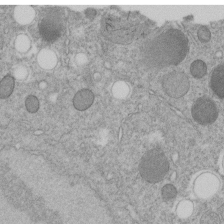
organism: C. elegans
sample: C. elegans embryo early stage